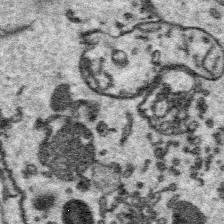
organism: Platynereis dumerilii